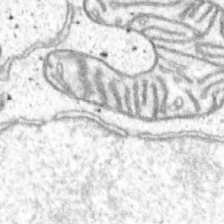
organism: Human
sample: HeLa cells